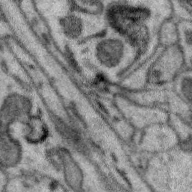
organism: Zebra finch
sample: Brain